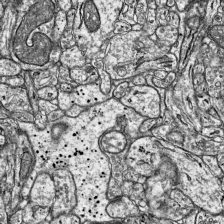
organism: Mouse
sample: Visual Cortex